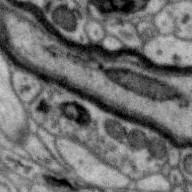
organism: Zebra finch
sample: Brain